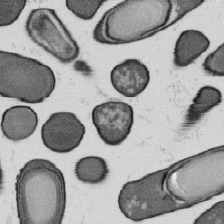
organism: B. subtilis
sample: Bacterial spore